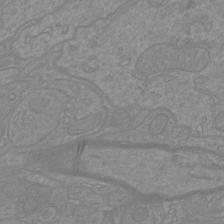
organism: Mouse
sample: Cortical neurons